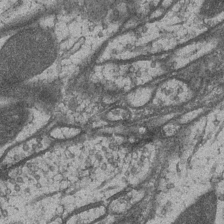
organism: Drosophila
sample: Optic medulla